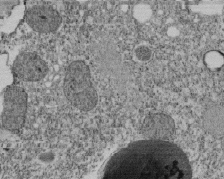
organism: Tetrahymena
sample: Cilia in tetrahymena